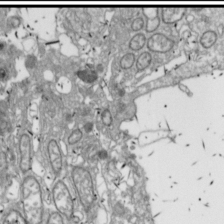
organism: Drosophila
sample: Cell division; meiosis; drosophila spermatocytes